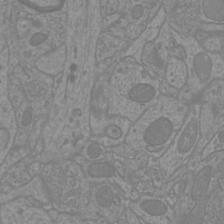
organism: Mouse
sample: Cortical neurons